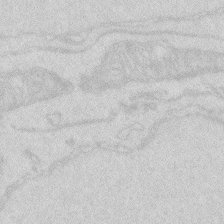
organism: Zebrafish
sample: Macrophage